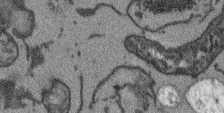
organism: Arabidopsis thaliana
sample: Root tip